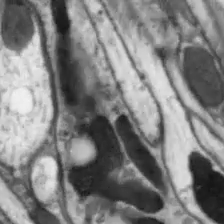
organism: Drosophila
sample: Optic lobe